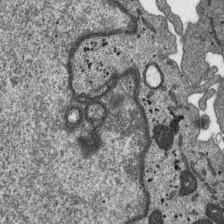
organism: Human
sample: Lung epithelial cells infected with SARS-CoV-2